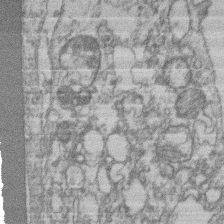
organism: Mouse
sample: T cell stromal cell synapse